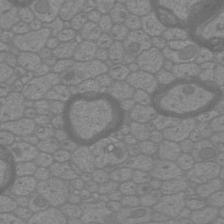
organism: Mouse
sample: Cortical neurons